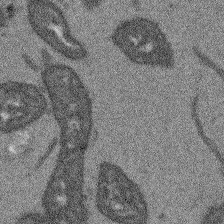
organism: Arabidopsis thaliana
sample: Root tip